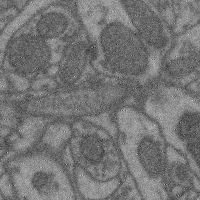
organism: Mouse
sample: Cerebral cortex